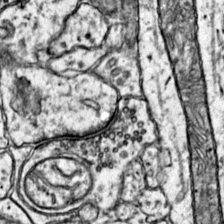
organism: Mouse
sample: Primary visual cortex